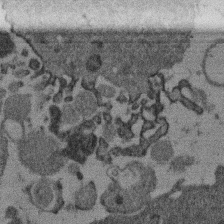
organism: Mouse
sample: Dividing mouse embryo 1 cell stage